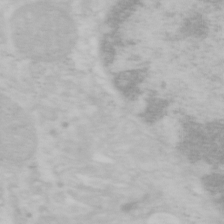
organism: Mouse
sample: OT-I killer T cells with ID8 ovarian cancer cells